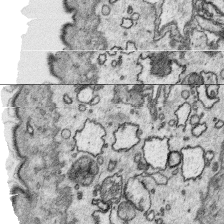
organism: Platynereis dumerilii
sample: Parapodia